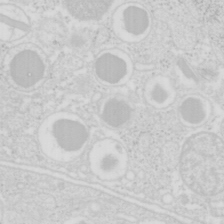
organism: Mouse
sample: Pancreas